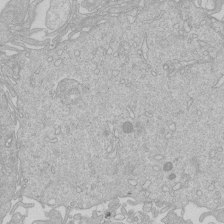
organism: Human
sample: Macrophage cells